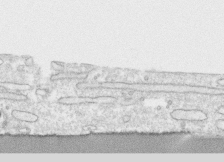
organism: Human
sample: CRL-1474